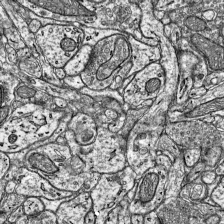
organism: Mouse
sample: Visual Cortex